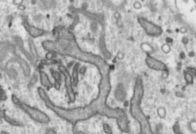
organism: Toxoplasma gondii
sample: Parasites in a vacuole inside a host cell